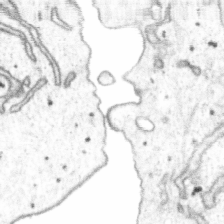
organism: Human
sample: HeLa cells